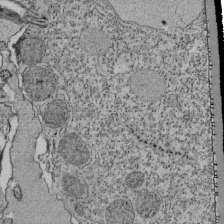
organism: Tetrahymena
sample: Cilia in tetrahymena